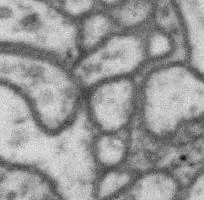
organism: Drosophila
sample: Protocerebral bridge